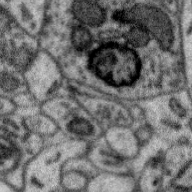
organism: Zebra finch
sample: Brain